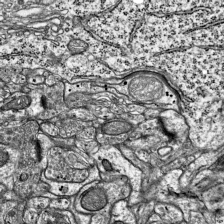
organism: Mouse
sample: Visual Cortex